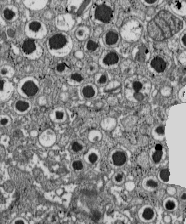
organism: C57BL Mouse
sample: Pancreatic islet